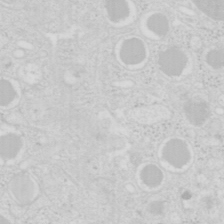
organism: Mouse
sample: Pancreas